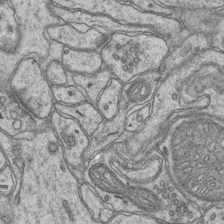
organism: Mouse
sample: CA1 Hippocampus